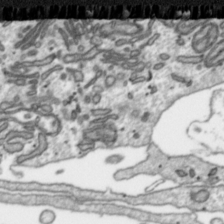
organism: Toxoplasma gondii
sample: Parasites in a vacuole inside a host cell